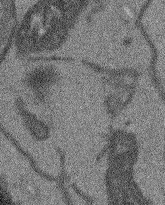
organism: Arabidopsis thaliana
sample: Root tip